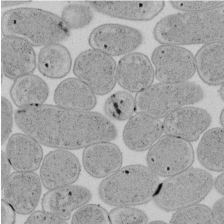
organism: E. coli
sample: Bacterial nucleoid